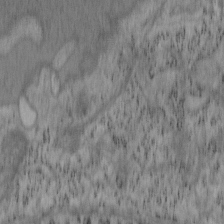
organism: Human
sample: HeLa cells